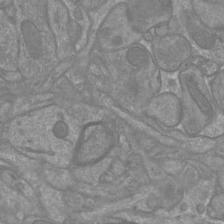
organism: Mouse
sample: Cortical neurons